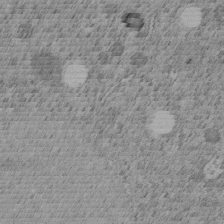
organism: C. elegans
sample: C. elegans embryo early stage